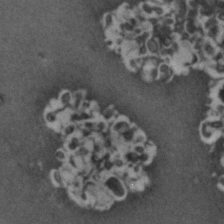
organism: Zebrafish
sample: Zebrafish embryo